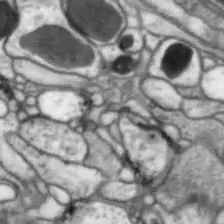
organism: Drosophila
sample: Optic lobe